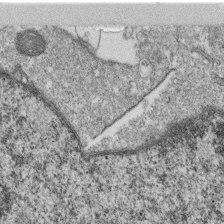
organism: African green monkey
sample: Vero E6 cells infected with SARS-CoV-2